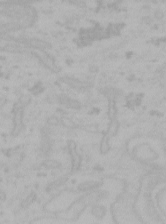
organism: Mouse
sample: Choroid plexus